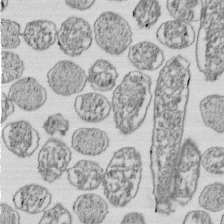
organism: E. coli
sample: Bacterial nucleoid